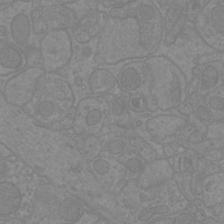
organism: Mouse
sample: Cortical neurons